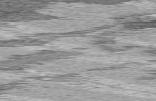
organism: C57BL Mouse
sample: Heart